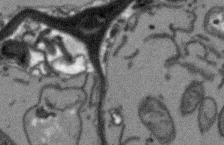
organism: Arabidopsis thaliana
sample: Root tip